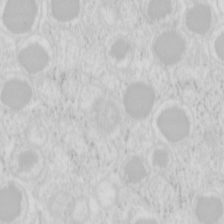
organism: Mouse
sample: Pancreas